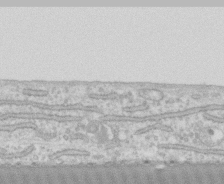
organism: Human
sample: CRL-1474